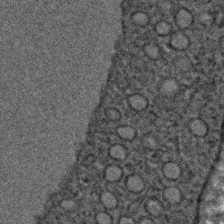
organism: C. elegans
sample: C. elegans embryo